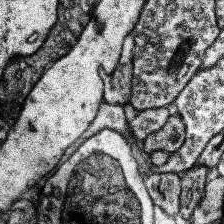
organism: Human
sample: Temporal Lobe